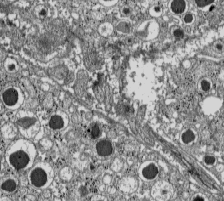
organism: C57BL Mouse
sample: Pancreatic islet